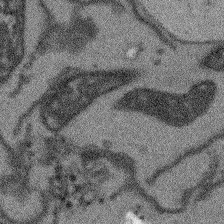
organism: Arabidopsis thaliana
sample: Root tip